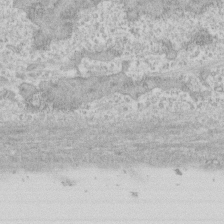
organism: Human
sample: CRL-1474